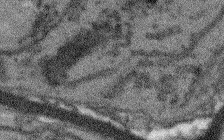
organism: Arabidopsis thaliana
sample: Root tip